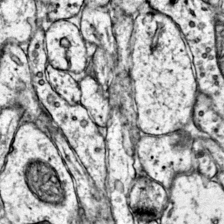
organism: Mouse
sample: Primary visual cortex